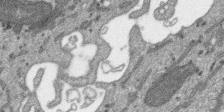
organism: Human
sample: Lung epithelial cells infected with SARS-CoV-2